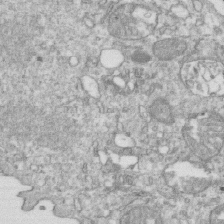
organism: Mouse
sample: Activated OT-1 CD8+ T cells